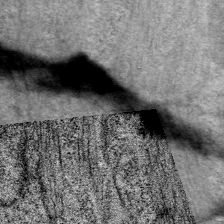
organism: C. elegans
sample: Pharynx